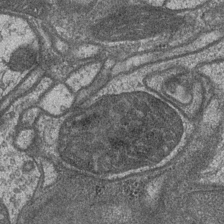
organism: Drosophila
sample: Optic medulla